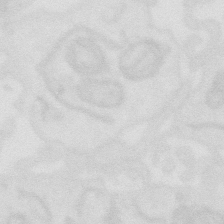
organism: Human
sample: HeLa cells